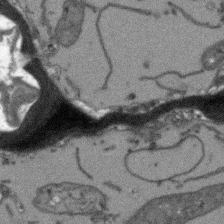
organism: Arabidopsis thaliana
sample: Root tip